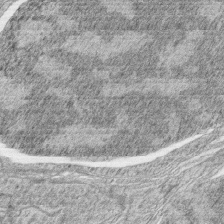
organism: Zebrafish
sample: synaptic ribbons in rod cells and cone cells